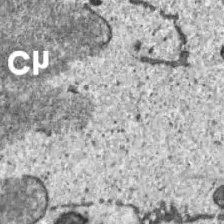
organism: Human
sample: HeLa cells